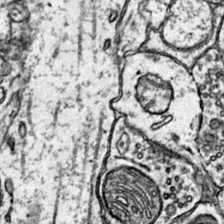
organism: Mouse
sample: Primary visual cortex